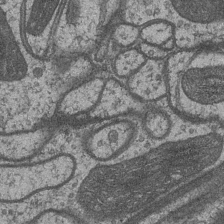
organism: Drosophila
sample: Optic medulla